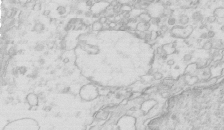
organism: Mouse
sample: Multiciliated cells